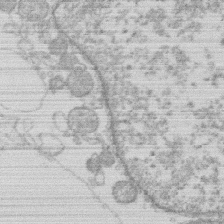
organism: Human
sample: Macrophage cells